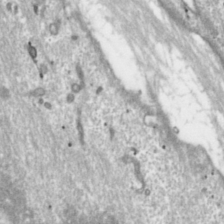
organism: Toxoplasma gondii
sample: Parasites in a vacuole inside a host cell